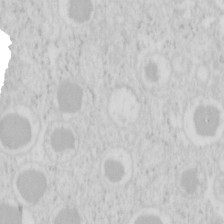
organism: Mouse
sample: Pancreas